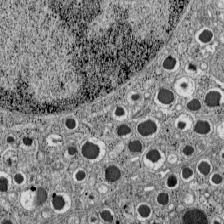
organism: C57BL Mouse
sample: Pancreatic islet